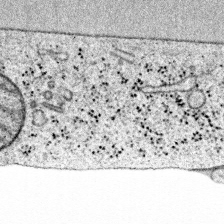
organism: Human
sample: HeLa cells